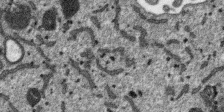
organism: Human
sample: Lung epithelial cells infected with SARS-CoV-2